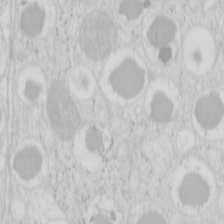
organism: Mouse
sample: Pancreas